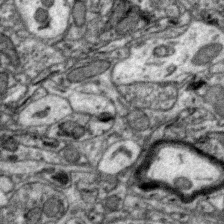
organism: Zebra finch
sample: Brain